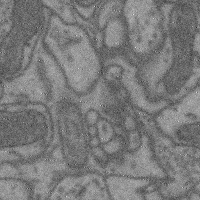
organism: Mouse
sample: Cerebral cortex